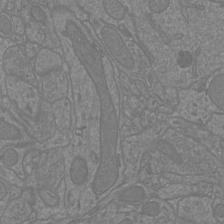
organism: Mouse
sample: Cortical neurons